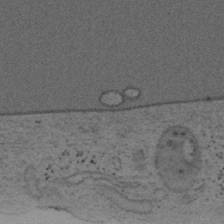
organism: Human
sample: HeLa cells